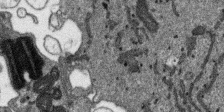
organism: Human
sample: Lung epithelial cells infected with SARS-CoV-2